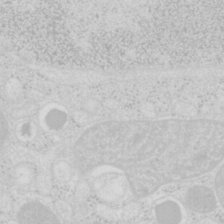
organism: Mouse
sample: Pancreas